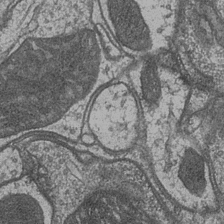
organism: Drosophila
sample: Optic medulla